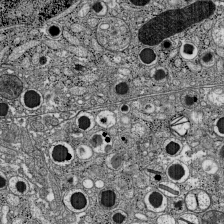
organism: C57BL Mouse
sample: Pancreatic islet